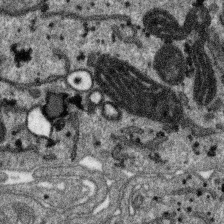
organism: Human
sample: Lung epithelial cells infected with SARS-CoV-2